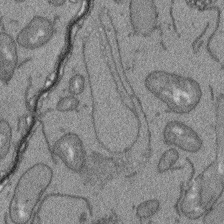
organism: Arabidopsis thaliana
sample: Root tip